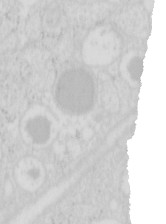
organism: Mouse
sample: Pancreas